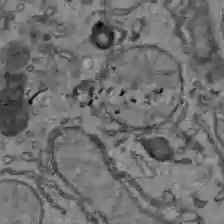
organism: C57BL Mouse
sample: Liver